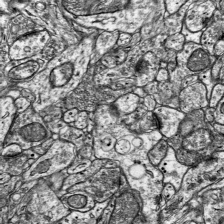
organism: Mouse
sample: Visual Cortex